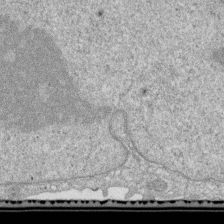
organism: Human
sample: HeLa cell HIV synapse